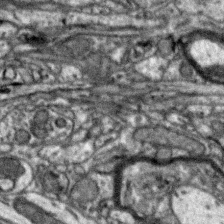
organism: Zebra finch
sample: Brain